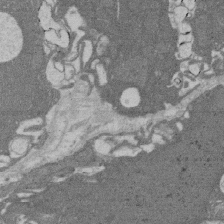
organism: Rat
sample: Salivary granule